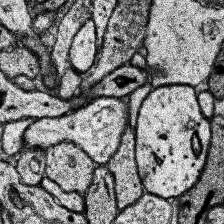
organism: Human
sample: Temporal Lobe